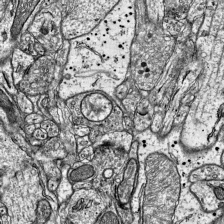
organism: Mouse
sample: Visual Cortex